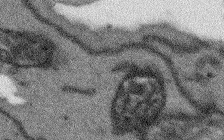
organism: Arabidopsis thaliana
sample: Root tip